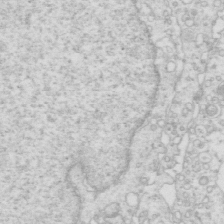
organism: Mouse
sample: Multiciliated cells